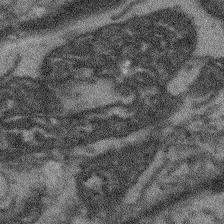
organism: Arabidopsis thaliana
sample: Root tip